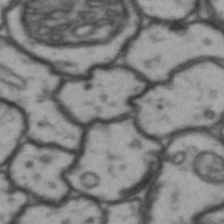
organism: Drosophila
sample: Brain